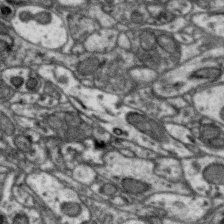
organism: Zebra finch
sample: Brain